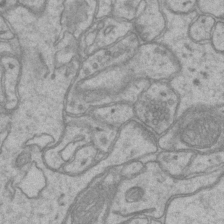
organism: Mouse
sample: CA1 Hippocampus